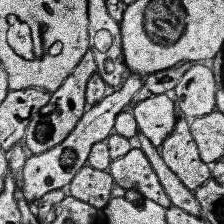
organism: Human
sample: Temporal Lobe